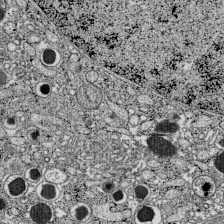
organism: C57BL Mouse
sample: Pancreatic islet